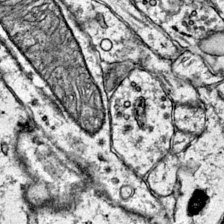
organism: Mouse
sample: Primary visual cortex